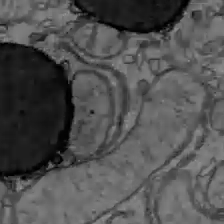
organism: C57BL Mouse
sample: Liver